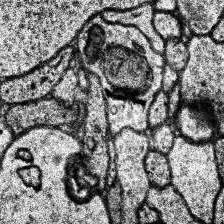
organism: Human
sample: Temporal Lobe